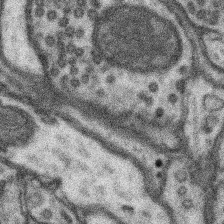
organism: Mouse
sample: Somatosensory cortex neuropil